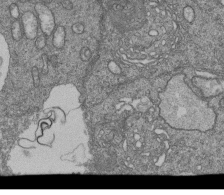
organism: Human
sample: Retinal organoid Rod and Cone cells